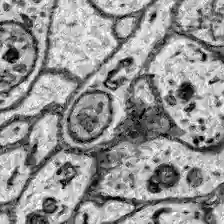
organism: Zebrafish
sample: Brain